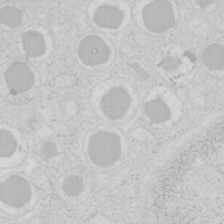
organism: Mouse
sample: Pancreas